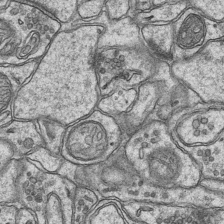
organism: Mouse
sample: CA1 Hippocampus